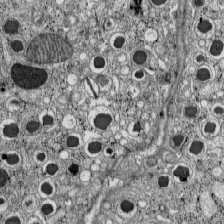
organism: C57BL Mouse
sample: Pancreatic islet